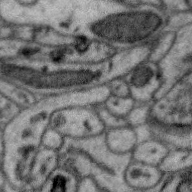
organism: Zebra finch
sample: Brain